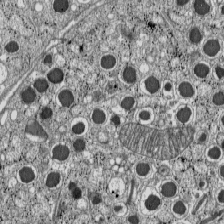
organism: C57BL Mouse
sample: Pancreatic islet